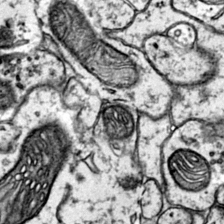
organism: Mouse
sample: Primary visual cortex